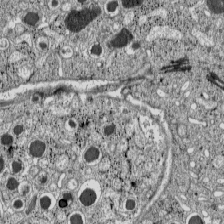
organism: C57BL Mouse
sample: Pancreatic islet